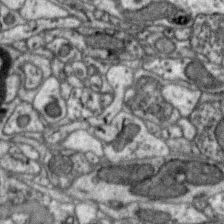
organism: Zebra finch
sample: Brain